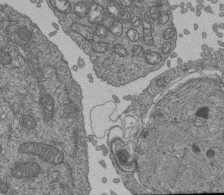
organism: Human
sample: Retinal organoid Rod and Cone cells